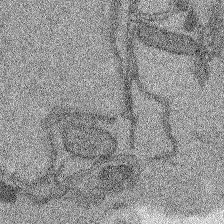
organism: Human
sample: HeLa cells